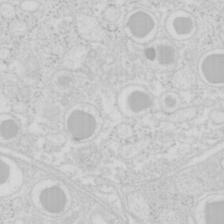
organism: Mouse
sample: Pancreas